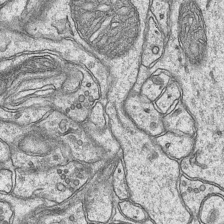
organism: Mouse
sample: CA1 Hippocampus